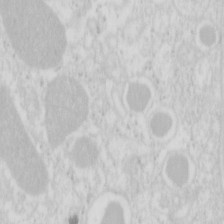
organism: Mouse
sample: Pancreas